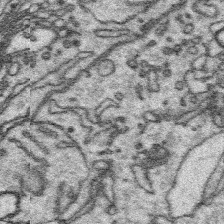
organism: Platynereis dumerilii